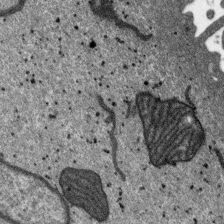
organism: Human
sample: Lung epithelial cells, uninfected (mock) control